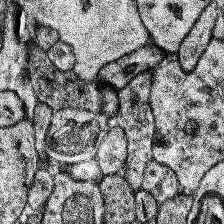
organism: Human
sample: Temporal Lobe